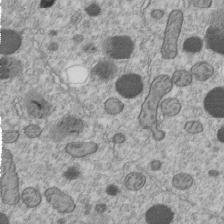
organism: C. elegans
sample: C. elegans embryo early stage